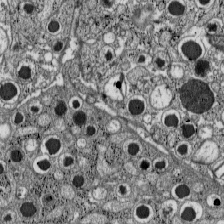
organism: C57BL Mouse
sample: Pancreatic islet